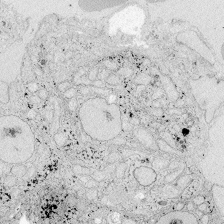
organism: Zebrafish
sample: Whole-Brain